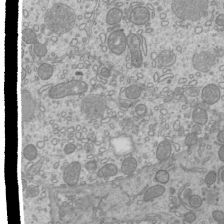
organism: Mouse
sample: Cilia; mouse epididymis